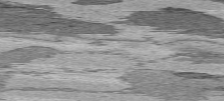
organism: C57BL Mouse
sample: Heart